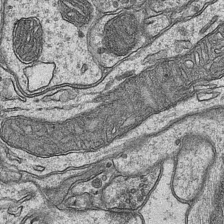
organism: Mouse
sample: CA1 Hippocampus